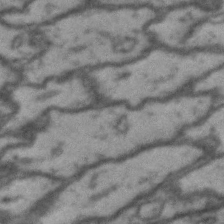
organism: Drosophila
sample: Brain